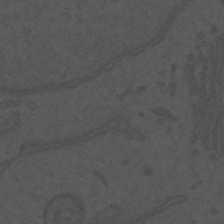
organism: Mouse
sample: Suprachiasmatic nucleus